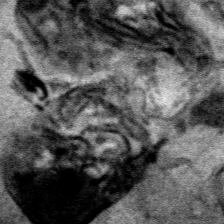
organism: Human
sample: Mitochondria in HCT116 cells